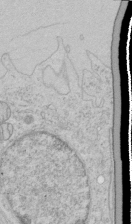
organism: Human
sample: Mitochondria in HCT116 cells